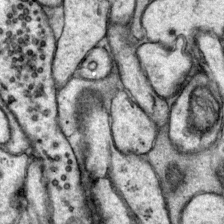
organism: Mouse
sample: Primary visual cortex